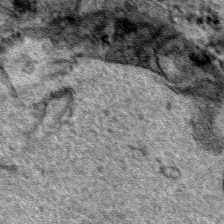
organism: Human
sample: Mitochondria in HCT116 cells